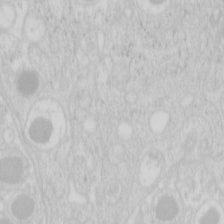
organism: Mouse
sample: Pancreas